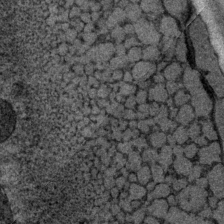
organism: P. pacificus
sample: Pharynx